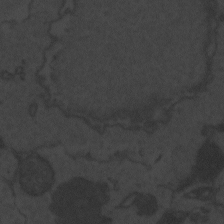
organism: Zebrafish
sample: Macrophage infected with Toxoplasma gondii